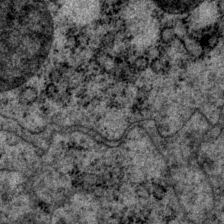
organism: P. pacificus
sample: Pharynx